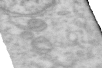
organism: Human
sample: Centriole in RPE cells